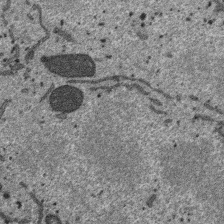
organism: Human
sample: Lung epithelial cells infected with SARS-CoV-2